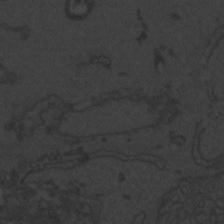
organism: Zebrafish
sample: Macrophage infected with Toxoplasma gondii